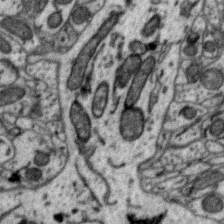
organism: Zebra finch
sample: Brain